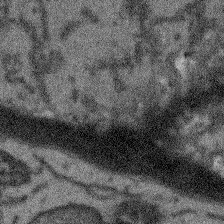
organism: Arabidopsis thaliana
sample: Root tip